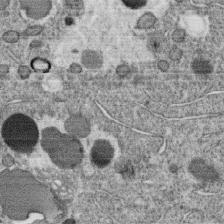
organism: C. elegans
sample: C. elegans oocyte; sperm cells